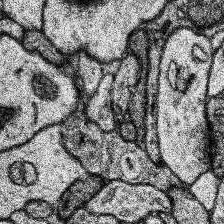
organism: Human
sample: Temporal Lobe